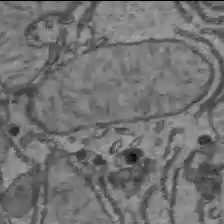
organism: C57BL Mouse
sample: Liver